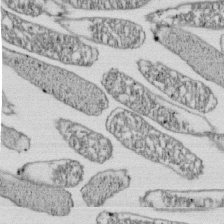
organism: E. coli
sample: Bacterial nucleoid